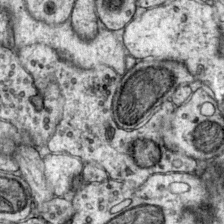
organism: Mouse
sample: Primary visual cortex